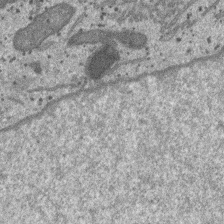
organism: Human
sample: Lung epithelial cells infected with SARS-CoV-2